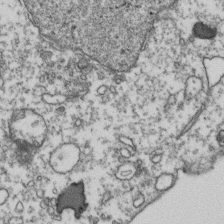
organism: Human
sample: Activated Jurkat CD4+ T cells